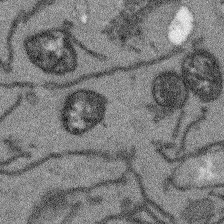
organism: Arabidopsis thaliana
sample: Root tip